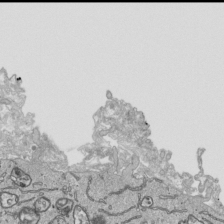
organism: Human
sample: Mitochondria in HCT116 cells